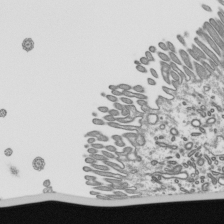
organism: Mouse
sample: Mouse epididymis efferent ductule cilia